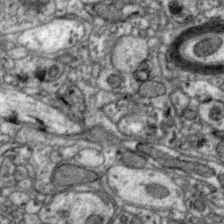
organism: Zebra finch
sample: Brain